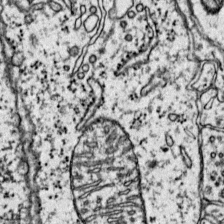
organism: Mouse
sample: Primary visual cortex